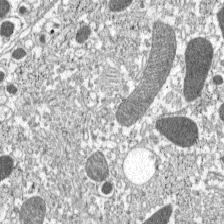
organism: C57BL Mouse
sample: Pancreatic islet